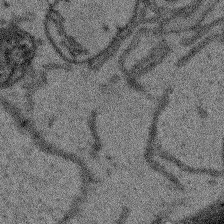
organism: Arabidopsis thaliana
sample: Root tip